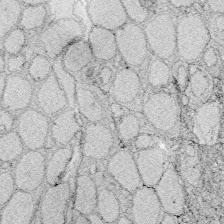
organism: Zebrafish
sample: Whole-Brain